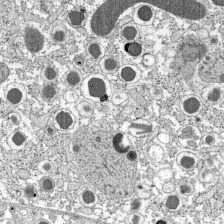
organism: C57BL Mouse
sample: Pancreatic islet